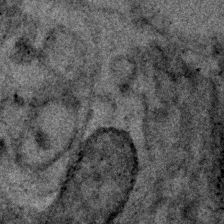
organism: Human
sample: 1205lu cells